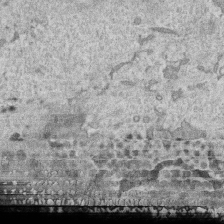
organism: Human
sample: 1205lu cells